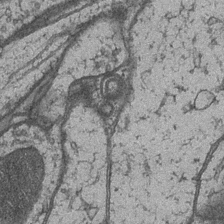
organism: Drosophila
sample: Optic medulla